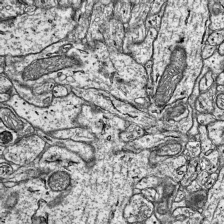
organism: Mouse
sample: Visual Cortex